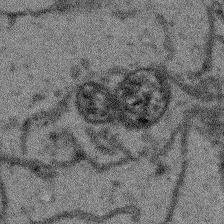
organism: Arabidopsis thaliana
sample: Root tip